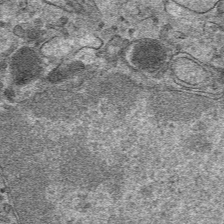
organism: Mouse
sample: Mouse hepatocytes